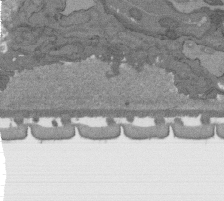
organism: C. elegans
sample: AFD neurons C. elegans